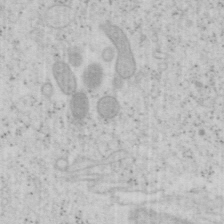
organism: Human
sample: HeLa cells